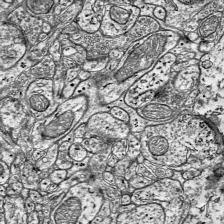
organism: Mouse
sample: Visual Cortex